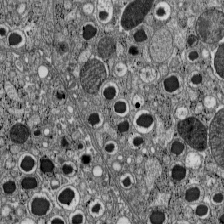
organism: C57BL Mouse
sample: Pancreatic islet